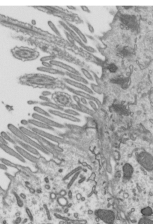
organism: Mouse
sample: Mouse epididymis efferent ductule cilia